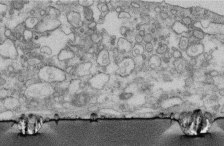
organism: Human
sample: Centriole in fibroblast cells